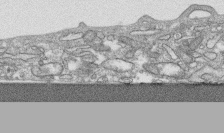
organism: Human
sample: CRL-1474